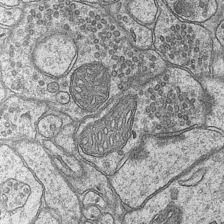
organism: Mouse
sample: CA1 Hippocampus